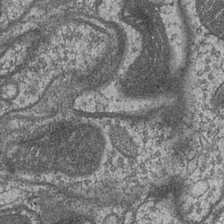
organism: Drosophila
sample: Optic medulla